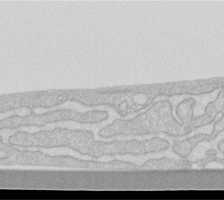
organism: Human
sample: Fibroblast cells